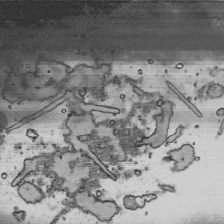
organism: Human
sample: Mitochondria in HCT116 cells